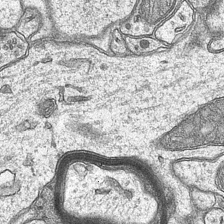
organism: Mouse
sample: CA1 Hippocampus